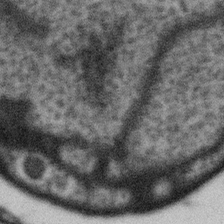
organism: Gemmata obscuriglobus